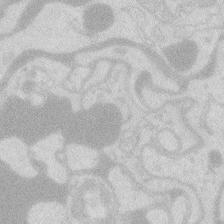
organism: Zebrafish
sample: Macrophage